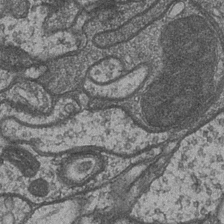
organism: Drosophila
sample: Optic medulla